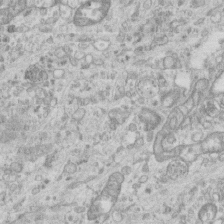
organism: Mouse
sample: Centriole in ependymal cells